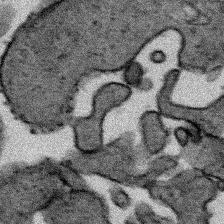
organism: Human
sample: Mitochondria in HCT116 cells